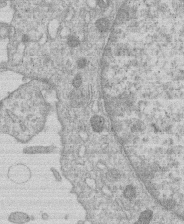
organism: Human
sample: Macrophage cells